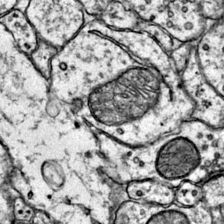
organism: Mouse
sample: Primary visual cortex